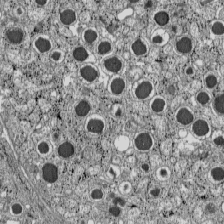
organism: C57BL Mouse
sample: Pancreatic islet